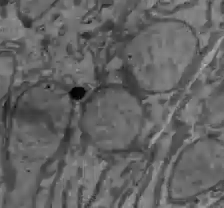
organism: C57BL Mouse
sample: Liver